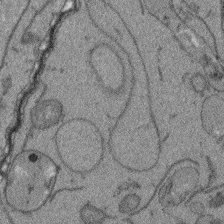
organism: Arabidopsis thaliana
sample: Root tip